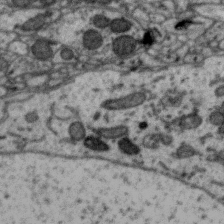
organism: Zebra finch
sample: Brain